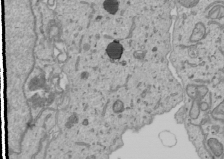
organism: Human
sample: Mitochondria in U2OS cells